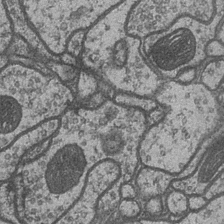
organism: Drosophila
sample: Optic medulla